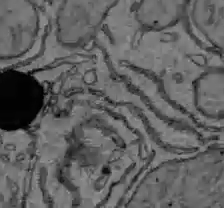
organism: C57BL Mouse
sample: Liver